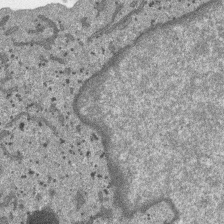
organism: Human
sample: Lung epithelial cells infected with SARS-CoV-2